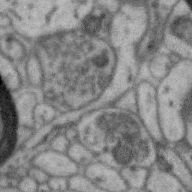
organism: Zebra finch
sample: Brain